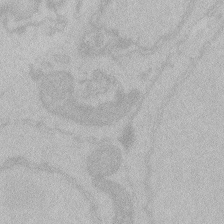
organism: Zebrafish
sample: Macrophage infected with Toxoplasma gondii